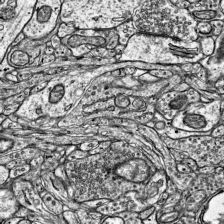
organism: Mouse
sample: Visual Cortex